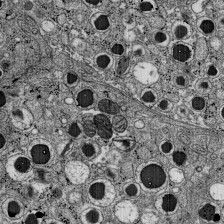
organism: C57BL Mouse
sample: Pancreatic islet